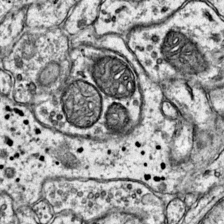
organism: Mouse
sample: Primary visual cortex